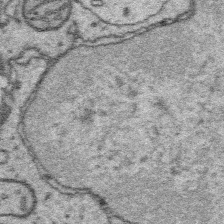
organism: Platynereis dumerilii